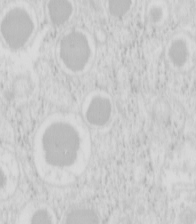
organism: Mouse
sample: Pancreas